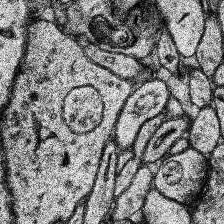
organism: Human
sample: Temporal Lobe